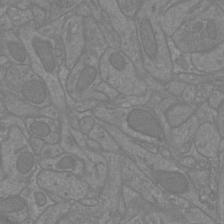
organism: Mouse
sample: Cortical neurons